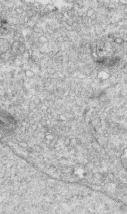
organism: Human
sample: HeLa cell HIV synapse